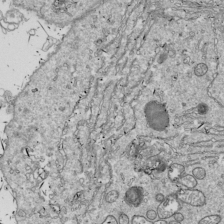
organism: Drosophila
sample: Cell division; meiosis; drosophila spermatocytes